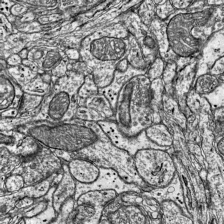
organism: Mouse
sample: Visual Cortex